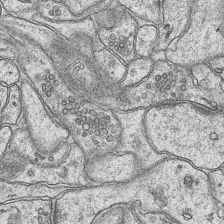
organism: Mouse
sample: CA1 Hippocampus